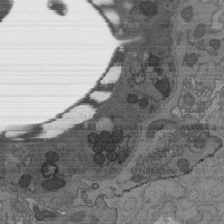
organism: C. elegans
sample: AFD neurons C. elegans